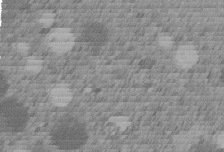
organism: C. elegans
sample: C. elegans embryo early stage